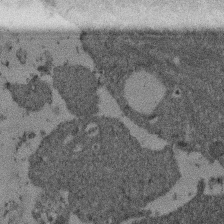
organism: Mouse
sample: Dividing mouse embryo 1 cell stage